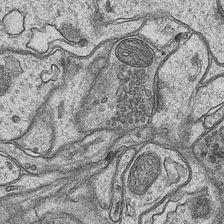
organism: Mouse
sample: CA1 Hippocampus